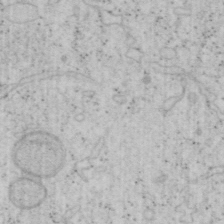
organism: Human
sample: HeLa cells